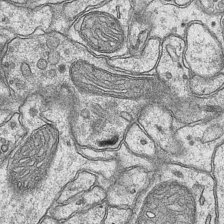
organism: Mouse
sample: CA1 Hippocampus